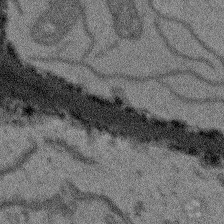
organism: Arabidopsis thaliana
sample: Root tip